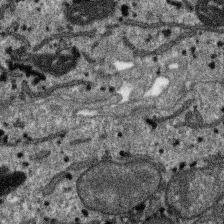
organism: Human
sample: Lung epithelial cells infected with SARS-CoV-2